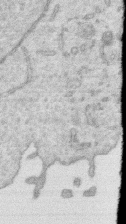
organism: Human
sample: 1205lu cells